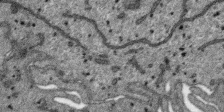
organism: Human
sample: Lung epithelial cells, uninfected (mock) control